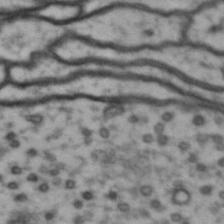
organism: Drosophila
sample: Brain